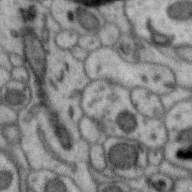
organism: Zebra finch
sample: Brain